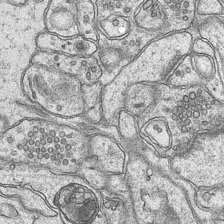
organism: Mouse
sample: CA1 Hippocampus